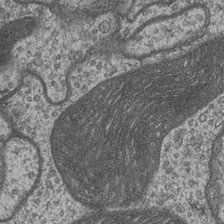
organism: Drosophila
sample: Optic medulla